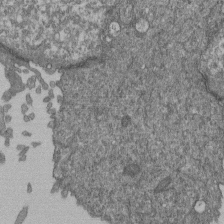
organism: Human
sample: Retinal organoid Rod and Cone cells